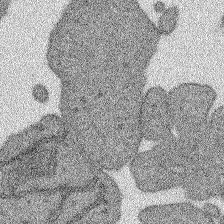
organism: Human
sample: HeLa cells